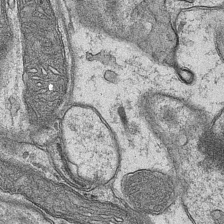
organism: Mouse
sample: CA1 Hippocampus